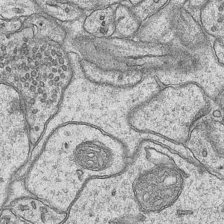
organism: Mouse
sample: CA1 Hippocampus